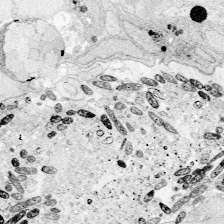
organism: Zebrafish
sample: Whole-Brain